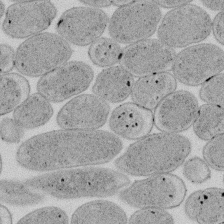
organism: E. coli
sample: Bacterial nucleoid